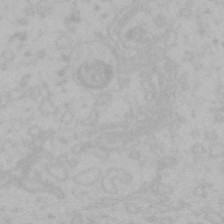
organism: Mouse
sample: Choroid plexus